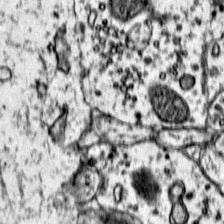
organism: Mouse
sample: Primary visual cortex